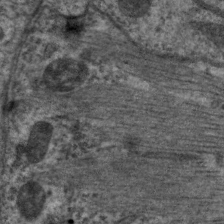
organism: C. elegans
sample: Pharynx